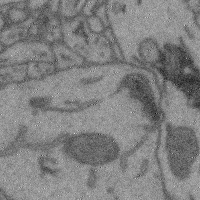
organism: Mouse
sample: Cerebral cortex